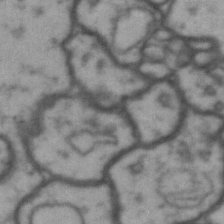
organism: Drosophila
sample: Brain